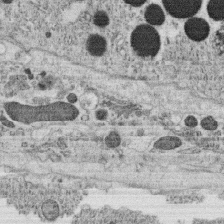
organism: C. elegans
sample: C. elegans oocyte; sperm cells